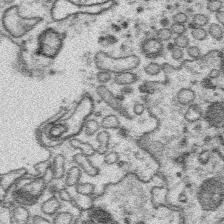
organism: Platynereis dumerilii